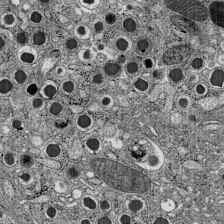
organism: C57BL Mouse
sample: Pancreatic islet